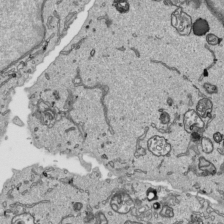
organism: Human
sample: Mitochondria in HCT116 cells